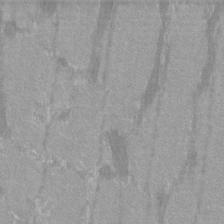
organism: C57BL Mouse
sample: Tibialis anterior muscle cell